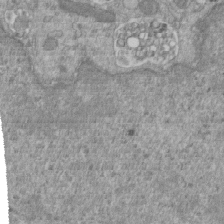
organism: Mouse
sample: ED-1 cell nuclei; centrioles